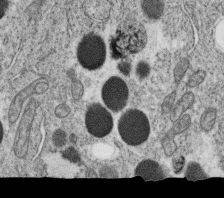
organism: C. elegans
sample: C. elegans oocyte; sperm cells